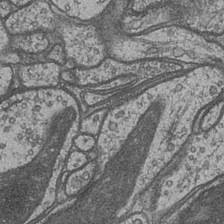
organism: Drosophila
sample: Optic medulla